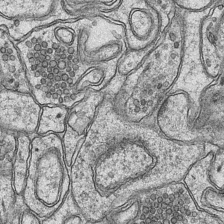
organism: Mouse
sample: CA1 Hippocampus